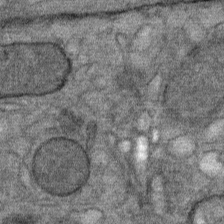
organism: Mouse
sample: Mouse Salivary gland